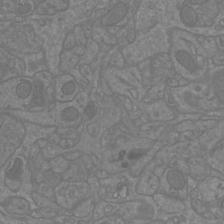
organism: Mouse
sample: Cortical neurons